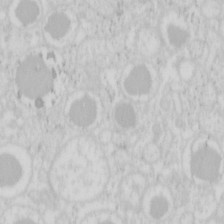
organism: Mouse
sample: Pancreas